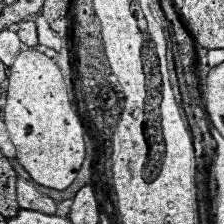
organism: Human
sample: Temporal Lobe